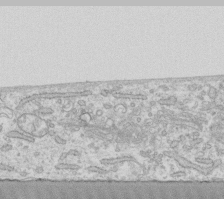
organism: Human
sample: Fibroblast cells